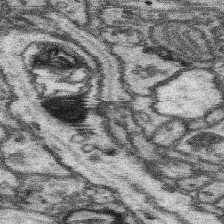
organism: Mouse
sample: Somatosensory cortex neuropil